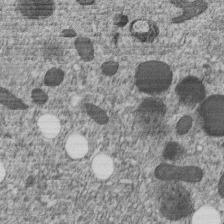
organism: C. elegans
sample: C. elegans embryo early stage